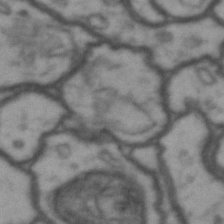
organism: Drosophila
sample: Brain